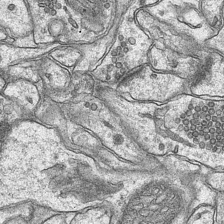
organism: Mouse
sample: CA1 Hippocampus